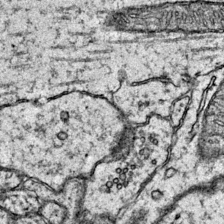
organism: Mouse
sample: Primary visual cortex